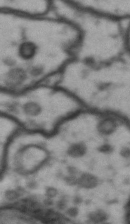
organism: Drosophila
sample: Brain